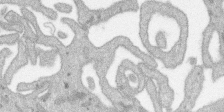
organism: Human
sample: Lung epithelial cells infected with SARS-CoV-2